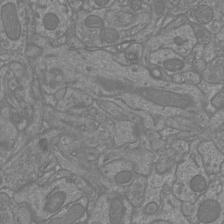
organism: Mouse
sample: Cortical neurons